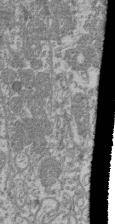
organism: Mouse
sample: Glomerulus